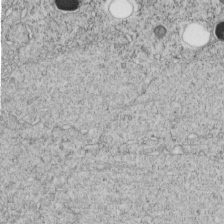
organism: C. elegans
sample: C. elegans embryo early stage